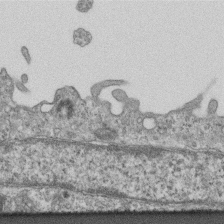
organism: Mouse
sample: Centriole in ependymal cells